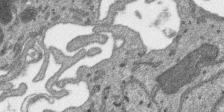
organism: Human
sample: Lung epithelial cells infected with SARS-CoV-2